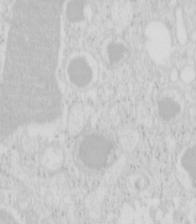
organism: Mouse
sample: Pancreas